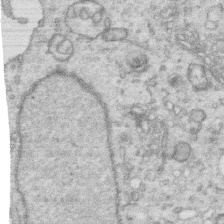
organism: Human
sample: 1205lu cells